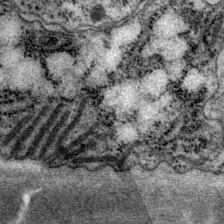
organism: P. pacificus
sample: Pharynx